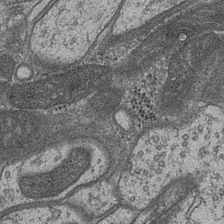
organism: Drosophila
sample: Optic medulla